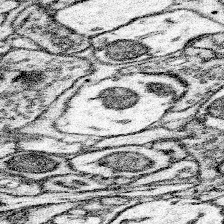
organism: Mouse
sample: Somatosensory cortex neuropil